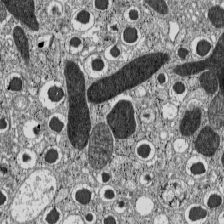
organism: C57BL Mouse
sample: Pancreatic islet